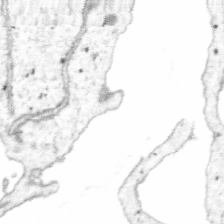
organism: Human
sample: HeLa cells